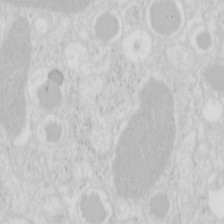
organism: Mouse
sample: Pancreas